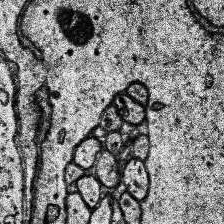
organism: Human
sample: Temporal Lobe